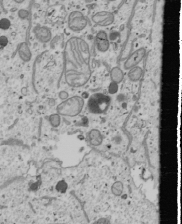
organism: Human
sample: Mitochondria in U2OS cells